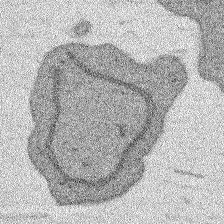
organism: Human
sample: HeLa cells